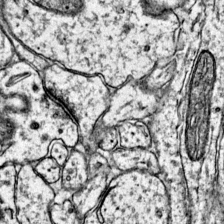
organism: Mouse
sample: Primary visual cortex